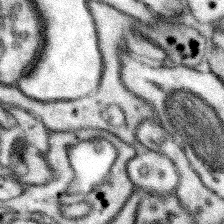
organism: Mouse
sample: Somatosensory cortex neuropil